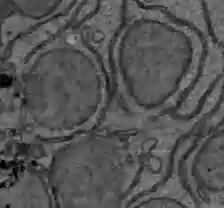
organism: C57BL Mouse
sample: Liver